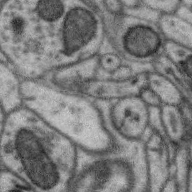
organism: Zebra finch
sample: Brain